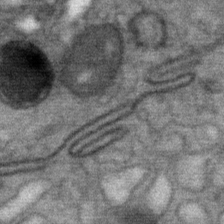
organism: Mouse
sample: Mouse Salivary gland